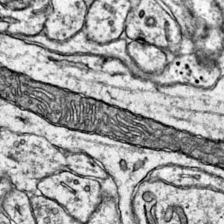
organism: Mouse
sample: Primary visual cortex